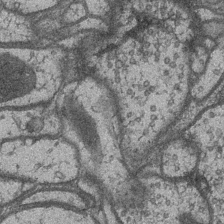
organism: Drosophila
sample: Optic medulla